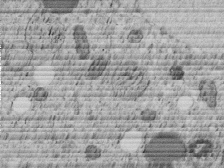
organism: C. elegans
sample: C. elegans embryo early stage